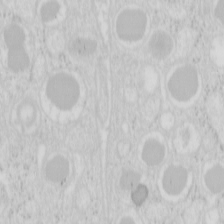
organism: Mouse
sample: Pancreas